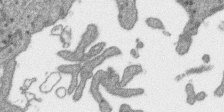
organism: Human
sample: Lung epithelial cells infected with SARS-CoV-2